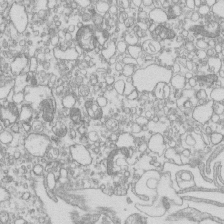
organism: Mouse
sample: Macrophages